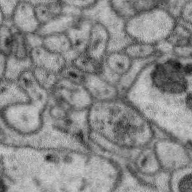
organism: Zebra finch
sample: Brain